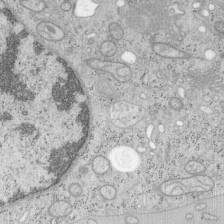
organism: Mouse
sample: OT-I killer T cells with ID8 ovarian cancer cells